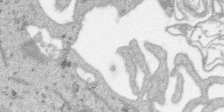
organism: Human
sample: Lung epithelial cells infected with SARS-CoV-2